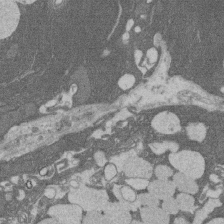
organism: Rat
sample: Salivary granule